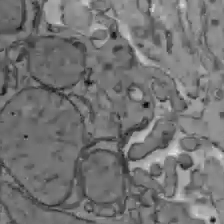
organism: C57BL Mouse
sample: Liver